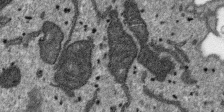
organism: Human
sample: Lung epithelial cells, uninfected (mock) control